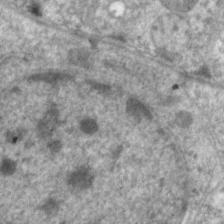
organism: C. elegans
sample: Pharynx